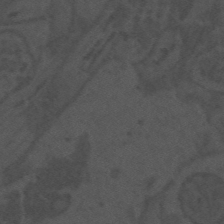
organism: Mouse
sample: Suprachiasmatic nucleus